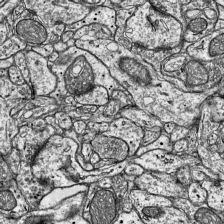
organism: Mouse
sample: Visual Cortex